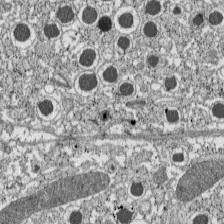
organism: C57BL Mouse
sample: Pancreatic islet